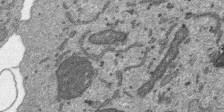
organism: Human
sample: Lung epithelial cells infected with SARS-CoV-2